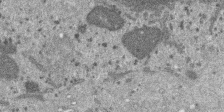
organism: Human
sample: Lung epithelial cells infected with SARS-CoV-2